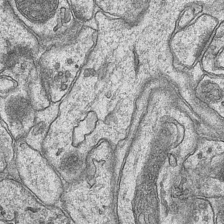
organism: Mouse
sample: CA1 Hippocampus